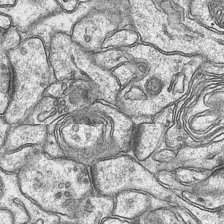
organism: Mouse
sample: CA1 Hippocampus